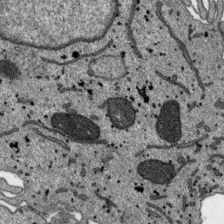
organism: Human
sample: Lung epithelial cells, uninfected (mock) control